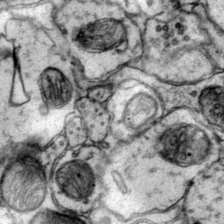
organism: Mouse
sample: Primary visual cortex